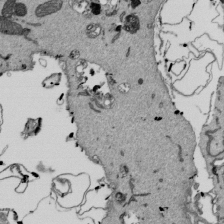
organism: Mouse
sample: ED-1 cell nuclei; centrioles